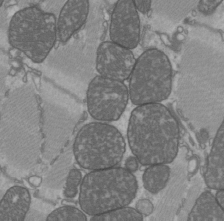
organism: C57BL Mouse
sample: Heart